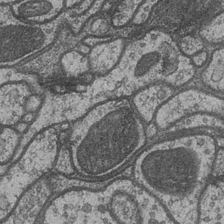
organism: Drosophila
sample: Optic medulla